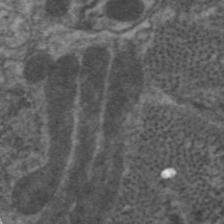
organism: C. elegans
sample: Pharynx